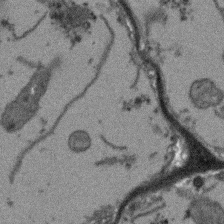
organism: Arabidopsis thaliana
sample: Root tip